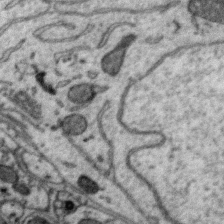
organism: Zebra finch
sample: Brain